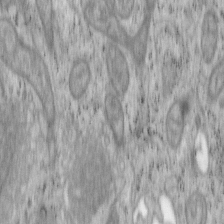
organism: Human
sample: HeLa cells